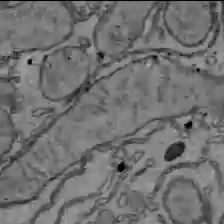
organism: C57BL Mouse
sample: Liver